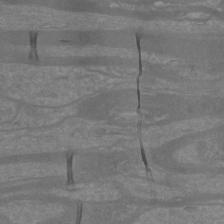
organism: Mouse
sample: Cortical neurons